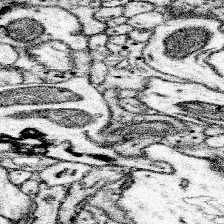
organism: Mouse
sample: Somatosensory cortex neuropil